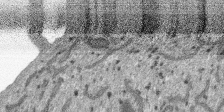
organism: Human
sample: Lung epithelial cells infected with SARS-CoV-2